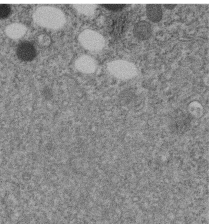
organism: C. elegans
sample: C. elegans embryo early stage